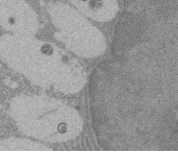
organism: Rat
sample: Salivary granule